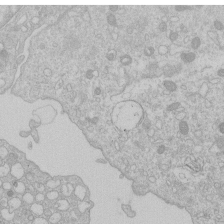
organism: Human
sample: Macrophage cells